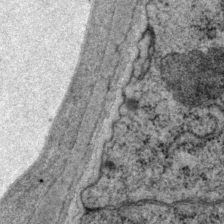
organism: P. pacificus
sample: Pharynx